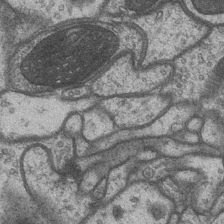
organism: Drosophila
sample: Optic medulla